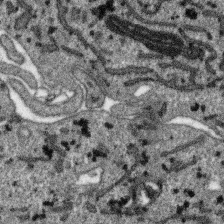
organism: Human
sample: Lung epithelial cells infected with SARS-CoV-2